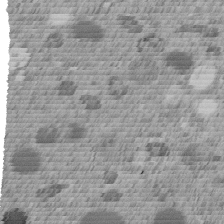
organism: C. elegans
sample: C. elegans embryo early stage